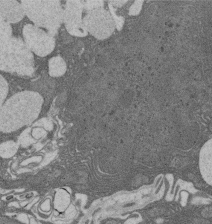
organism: Rat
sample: Salivary granule